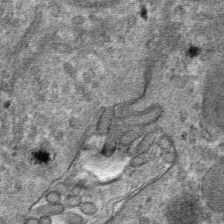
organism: Mouse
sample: Mouse hepatocytes